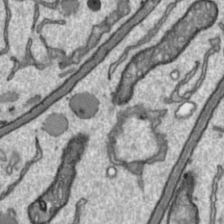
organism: Toxoplasma gondii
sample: Parasites in a vacuole inside a host cell